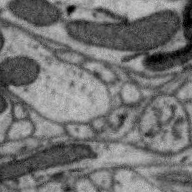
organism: Zebra finch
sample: Brain